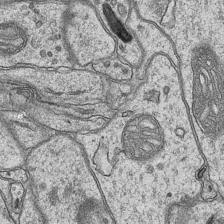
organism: Mouse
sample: CA1 Hippocampus